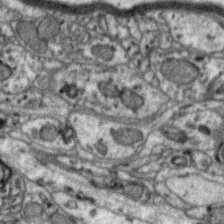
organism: Zebra finch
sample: Brain